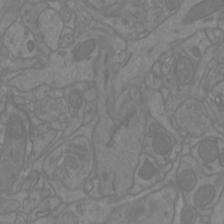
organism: Mouse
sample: Cortical neurons